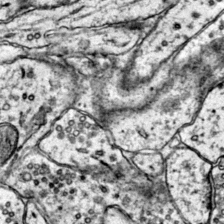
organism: Mouse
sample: Primary visual cortex